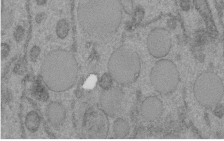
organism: C. elegans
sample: C. elegans embryo early stage